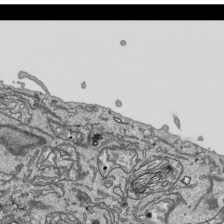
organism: Human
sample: Mitochondria in HCT116 cells